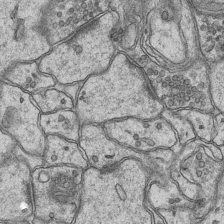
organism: Mouse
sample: CA1 Hippocampus